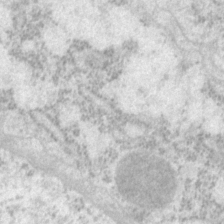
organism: P. pacificus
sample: Pharynx